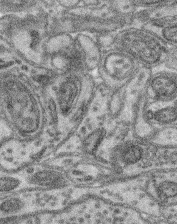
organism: Mouse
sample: Retina